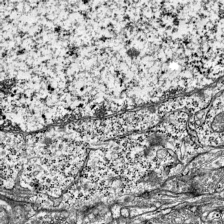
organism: Mouse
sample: Visual Cortex